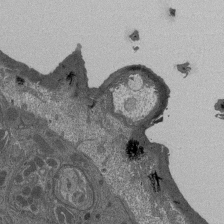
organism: Drosophila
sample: Antenna